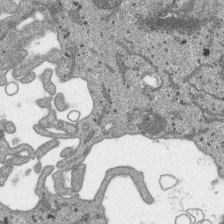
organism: Human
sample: Lung epithelial cells infected with SARS-CoV-2